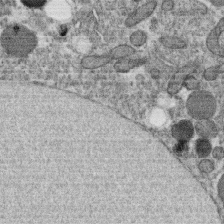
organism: C. elegans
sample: C. elegans oocyte; sperm cells